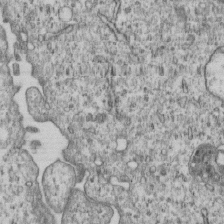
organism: Human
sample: MDA-MB-231 cells